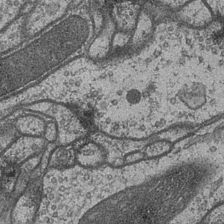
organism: Drosophila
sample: Optic medulla